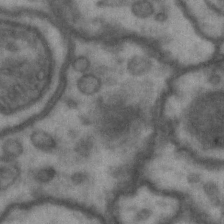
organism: Drosophila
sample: Brain